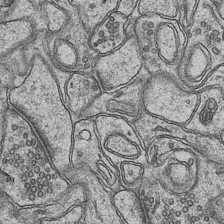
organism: Mouse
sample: CA1 Hippocampus